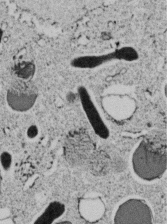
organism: C. elegans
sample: C. elegans embryo early stage